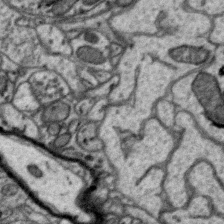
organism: Zebra finch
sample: Brain